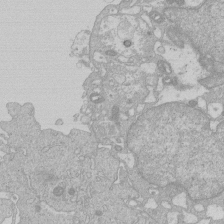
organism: Human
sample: Macrophage cells